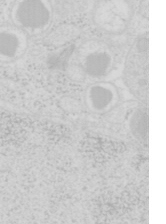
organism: Mouse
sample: Pancreas